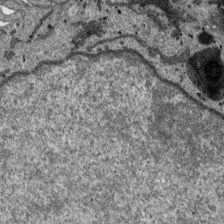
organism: Human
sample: Lung epithelial cells, uninfected (mock) control